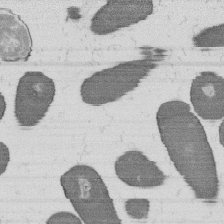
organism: B. subtilis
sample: Bacterial spore